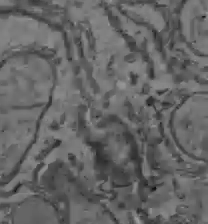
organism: C57BL Mouse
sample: Liver